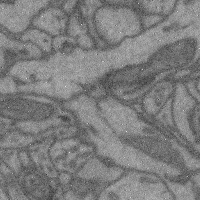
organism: Mouse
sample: Cerebral cortex